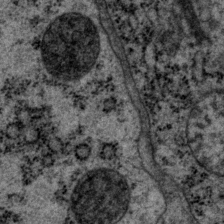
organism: P. pacificus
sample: Pharynx